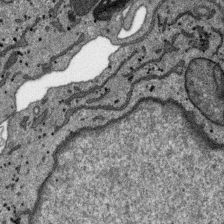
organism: Human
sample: Lung epithelial cells, uninfected (mock) control